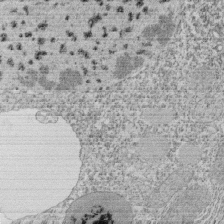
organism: Tetrahymena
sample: Cilia in tetrahymena